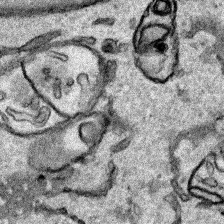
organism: Human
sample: Mitochondria in HCT116 cells